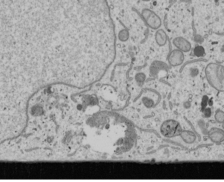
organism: Human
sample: Mitochondria in U2OS cells